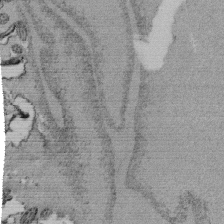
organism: Tetrahymena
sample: Cilia in tetrahymena